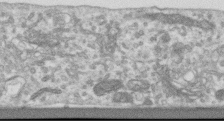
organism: Human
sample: Centriole in RPE cells